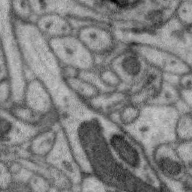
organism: Zebra finch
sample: Brain